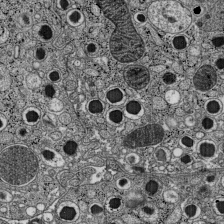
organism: C57BL Mouse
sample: Pancreatic islet